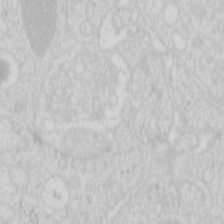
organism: Mouse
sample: Pancreas